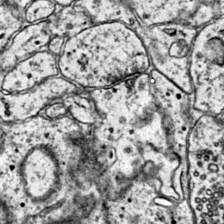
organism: Mouse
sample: Primary visual cortex